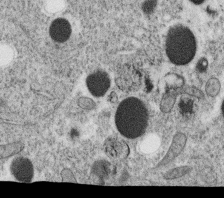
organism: C. elegans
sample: C. elegans oocyte; sperm cells